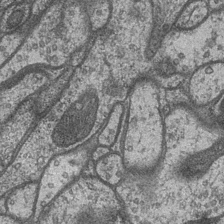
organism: Drosophila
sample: Optic medulla